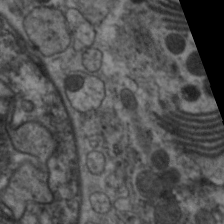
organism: C. elegans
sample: Pharynx